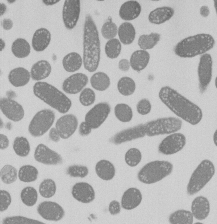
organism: E. coli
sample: Bacterial nucleoid